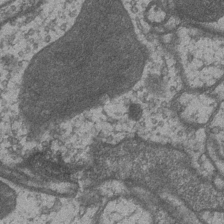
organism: Drosophila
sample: Optic medulla